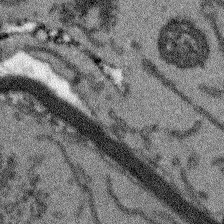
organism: Arabidopsis thaliana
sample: Root tip